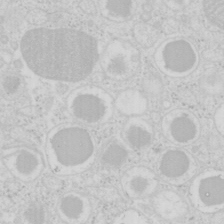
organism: Mouse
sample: Pancreas